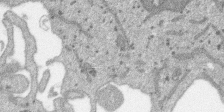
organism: Human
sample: Lung epithelial cells infected with SARS-CoV-2